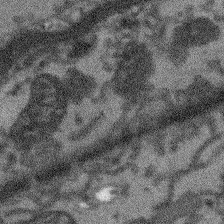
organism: Arabidopsis thaliana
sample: Root tip